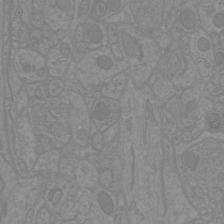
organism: Mouse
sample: Cortical neurons